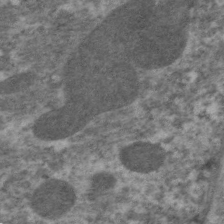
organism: C. elegans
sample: Pharynx